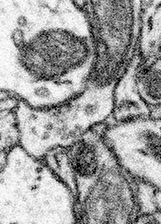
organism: Mouse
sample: Somatosensory cortex neuropil